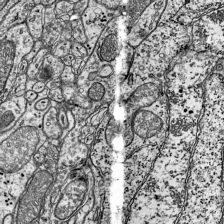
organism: Mouse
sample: Visual Cortex